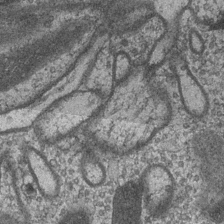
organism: Drosophila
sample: Optic medulla